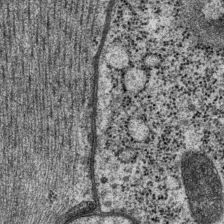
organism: P. pacificus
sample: Pharynx